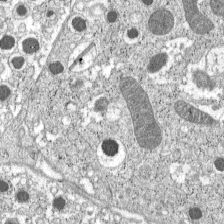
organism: C57BL Mouse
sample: Pancreatic islet